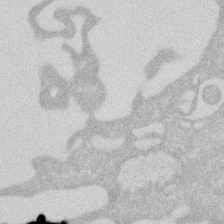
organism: Human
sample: HIV infected U937 cells